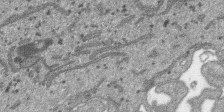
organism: Human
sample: Lung epithelial cells infected with SARS-CoV-2